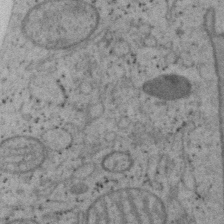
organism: Human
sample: HeLa cells